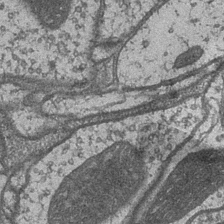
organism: Drosophila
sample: Optic medulla